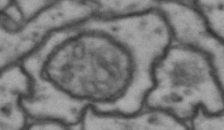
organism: Drosophila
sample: Brain